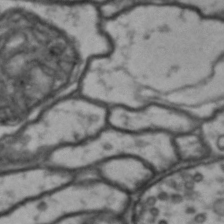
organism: Drosophila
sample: Brain